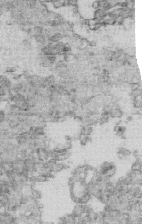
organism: Mouse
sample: Multiciliated cells